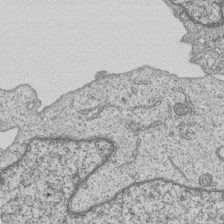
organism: Human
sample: MDA-MB-231 cells